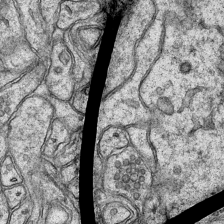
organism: Mouse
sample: CA1 Hippocampus